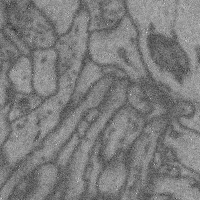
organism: Mouse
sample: Cerebral cortex